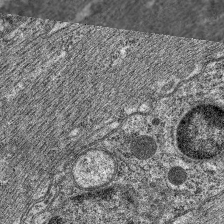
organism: C. elegans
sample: Pharynx